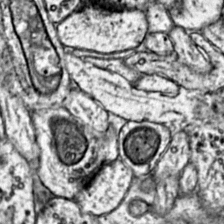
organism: Mouse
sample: Primary visual cortex